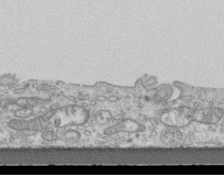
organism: Mouse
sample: Centriole in ependymal cells